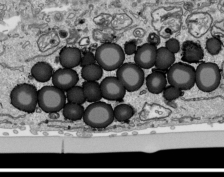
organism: Human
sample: Mitochondria in HCT116 cells